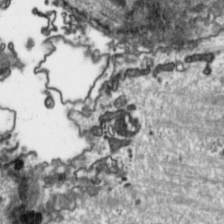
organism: Toxoplasma gondii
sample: Parasites in a vacuole inside a host cell